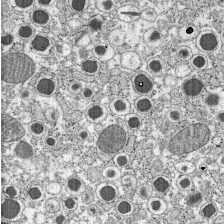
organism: C57BL Mouse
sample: Pancreatic islet